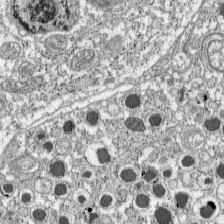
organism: C57BL Mouse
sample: Pancreatic islet